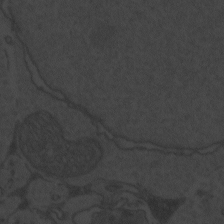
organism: Zebrafish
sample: Macrophage infected with Toxoplasma gondii